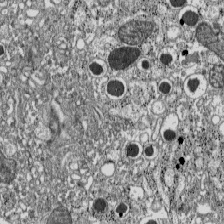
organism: C57BL Mouse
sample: Pancreatic islet